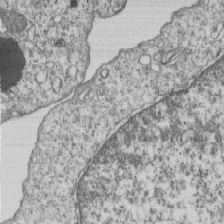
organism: Human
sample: MDA-MB-231 cells